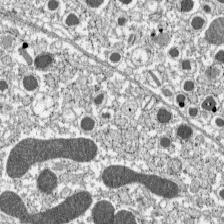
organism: C57BL Mouse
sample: Pancreatic islet